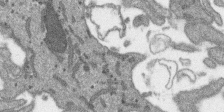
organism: Human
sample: Lung epithelial cells infected with SARS-CoV-2